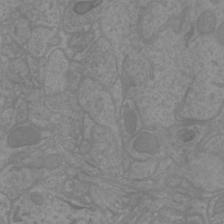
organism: Mouse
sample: Cortical neurons